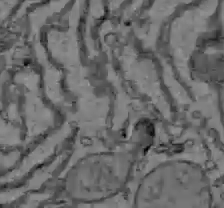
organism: C57BL Mouse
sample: Liver